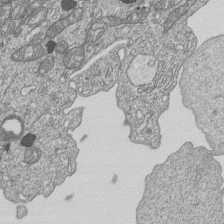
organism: Human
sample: MDA-MB-231 cells